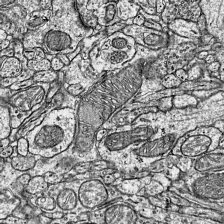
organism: Mouse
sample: Visual Cortex